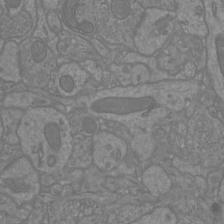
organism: Mouse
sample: Cortical neurons